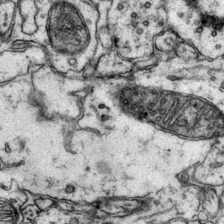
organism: Mouse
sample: Primary visual cortex